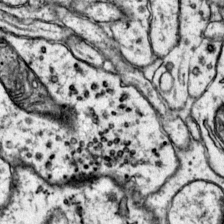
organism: Mouse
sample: Primary visual cortex